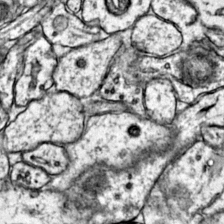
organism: Mouse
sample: Primary visual cortex